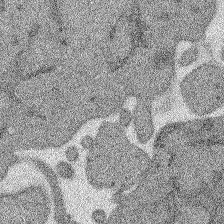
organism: Human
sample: HeLa cells